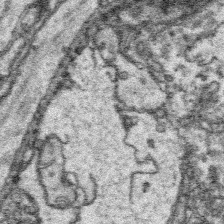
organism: Platynereis dumerilii